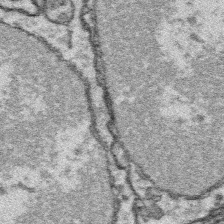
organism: Platynereis dumerilii